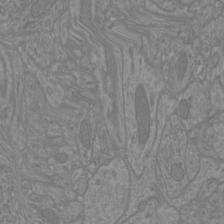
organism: Mouse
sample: Cortical neurons